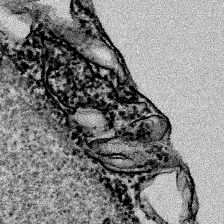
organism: Human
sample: Mitochondria in HCT116 cells